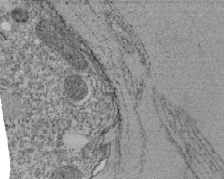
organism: Tetrahymena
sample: Cilia in tetrahymena